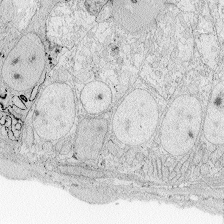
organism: Zebrafish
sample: Whole-Brain